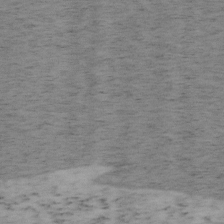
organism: Mouse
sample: OT-I killer T cells with ID8 ovarian cancer cells